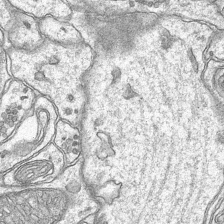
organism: Mouse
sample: CA1 Hippocampus